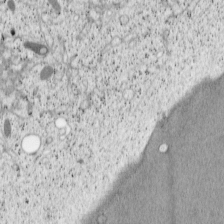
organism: African green monkey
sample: COS-7 cells